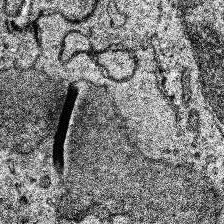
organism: Human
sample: Temporal Lobe